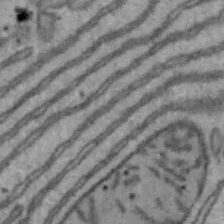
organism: Mouse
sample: Liver